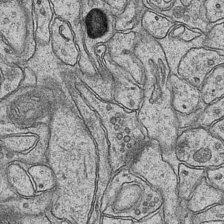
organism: Mouse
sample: CA1 Hippocampus